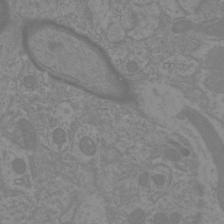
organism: Mouse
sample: Cortical neurons